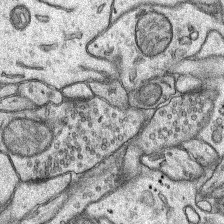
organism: Rat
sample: Hippocampus